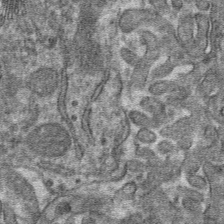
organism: Mouse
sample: Mouse hepatocytes